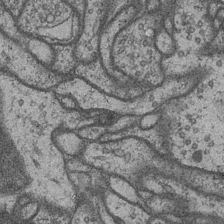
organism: Drosophila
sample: Optic medulla